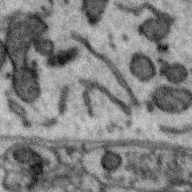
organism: Zebra finch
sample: Brain